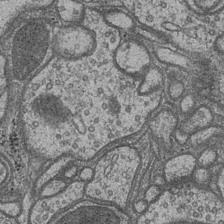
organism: Drosophila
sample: Optic medulla